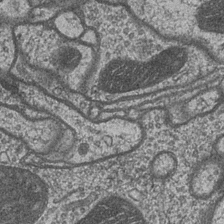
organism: Drosophila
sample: Optic medulla